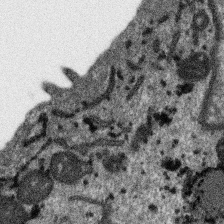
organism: Human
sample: Lung epithelial cells infected with SARS-CoV-2